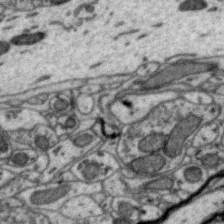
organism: Zebra finch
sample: Brain